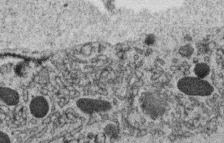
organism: C. elegans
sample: C. elegans oocyte; sperm cells